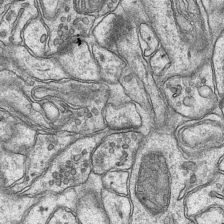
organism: Mouse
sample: CA1 Hippocampus